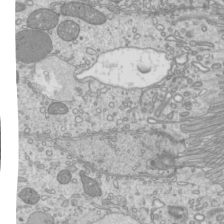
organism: Mouse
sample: Cilia; mouse epididymis